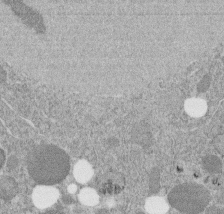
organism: C. elegans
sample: C. elegans embryo early stage